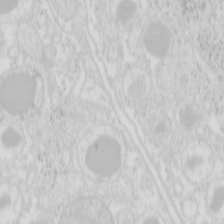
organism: Mouse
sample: Pancreas